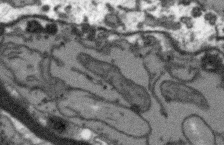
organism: Arabidopsis thaliana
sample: Root tip